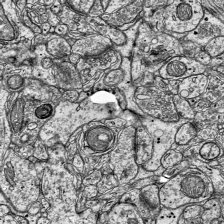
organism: Mouse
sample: Visual Cortex